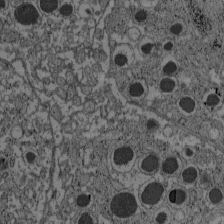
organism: C57BL Mouse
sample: Pancreatic islet